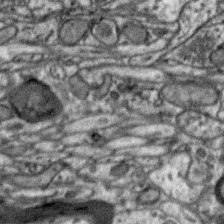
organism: Zebra finch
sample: Brain